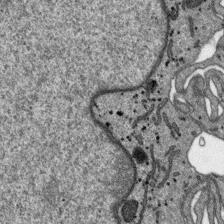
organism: Human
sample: Lung epithelial cells, uninfected (mock) control